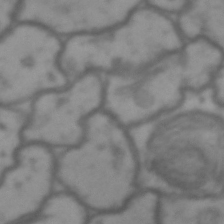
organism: Drosophila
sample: Brain